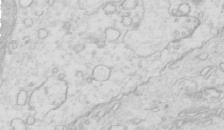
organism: Mouse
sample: Multiciliated cells